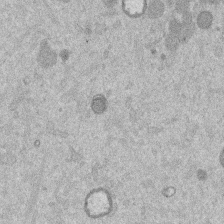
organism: Mouse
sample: Dividing mouse embryo 1 cell stage